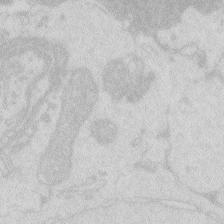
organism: Zebrafish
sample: Macrophage